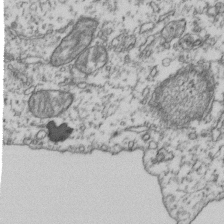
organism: Human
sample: Activated Jurkat CD4+ T cells